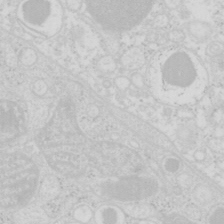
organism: Mouse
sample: Pancreas